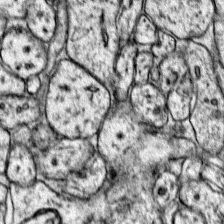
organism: Mouse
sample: Primary visual cortex